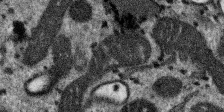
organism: Human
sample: Lung epithelial cells infected with SARS-CoV-2